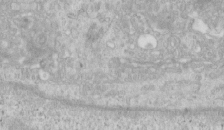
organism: Human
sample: Centriole in RPE cells